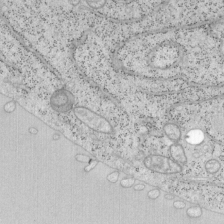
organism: Mouse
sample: OT-I killer T cells with ID8 ovarian cancer cells